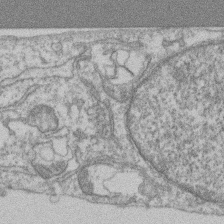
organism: Mouse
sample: T cell stromal cell synapse